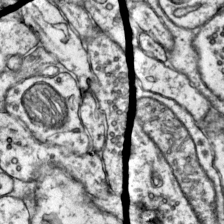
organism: Mouse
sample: Primary visual cortex